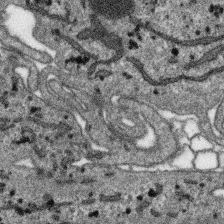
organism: Human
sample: Lung epithelial cells infected with SARS-CoV-2